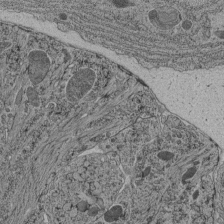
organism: C. elegans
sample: C. elegans pharynx